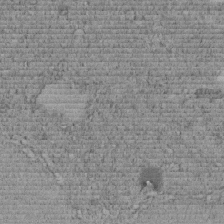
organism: C. elegans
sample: C. elegans embryo early stage